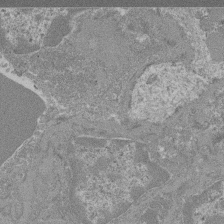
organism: Mouse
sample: Glomerulus